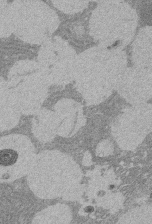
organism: Rat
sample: Salivary granule